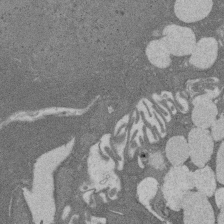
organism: Rat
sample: Salivary granule